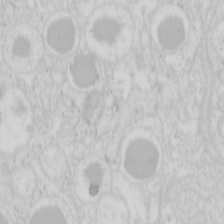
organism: Mouse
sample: Pancreas